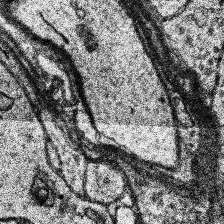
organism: Human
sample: Temporal Lobe